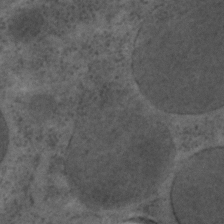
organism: C. elegans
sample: C. elegans embryo